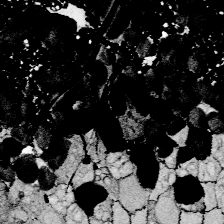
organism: Zebrafish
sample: Whole-Brain